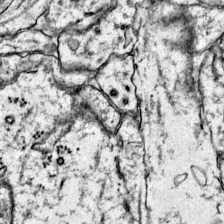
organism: Mouse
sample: Primary visual cortex